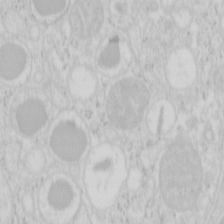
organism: Mouse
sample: Pancreas